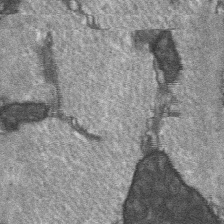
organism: C57BL Mouse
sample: Soleus